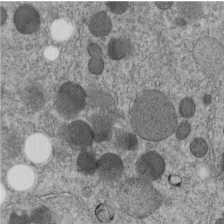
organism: C. elegans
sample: C. elegans embryo early stage